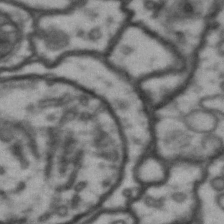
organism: Drosophila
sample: Brain